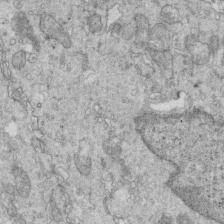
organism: Mouse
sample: Multiciliated cells